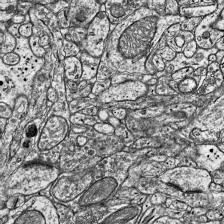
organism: Mouse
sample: Visual Cortex